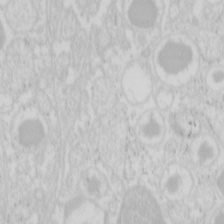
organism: Mouse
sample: Pancreas